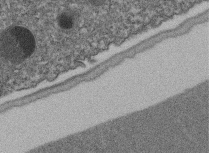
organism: C. elegans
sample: C. elegans embryo early stage